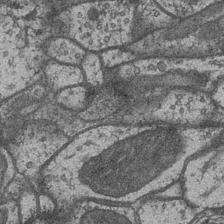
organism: Drosophila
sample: Optic medulla